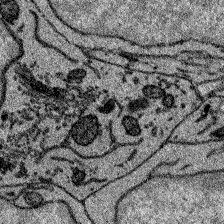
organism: Zebrafish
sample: Larval olfactory bulb